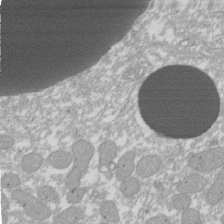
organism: Xenopus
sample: Cilia; centrioles in frog embryo cells